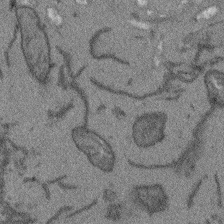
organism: Arabidopsis thaliana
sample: Root tip